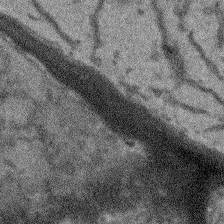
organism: Arabidopsis thaliana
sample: Root tip